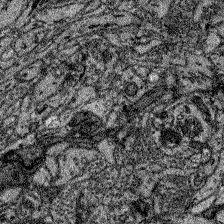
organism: Zebrafish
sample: Larval olfactory bulb